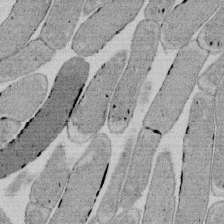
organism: E. coli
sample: Bacterial nucleoid